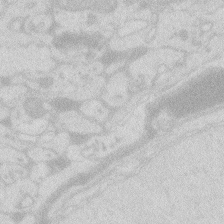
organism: Zebrafish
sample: Macrophage